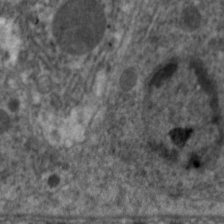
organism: C. elegans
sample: Pharynx